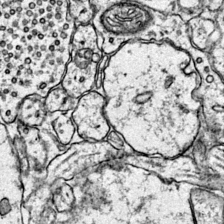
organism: Mouse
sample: Primary visual cortex